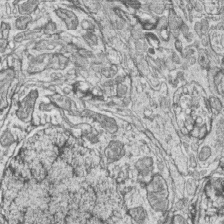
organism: Zebrafish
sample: synaptic ribbons in rod cells and cone cells